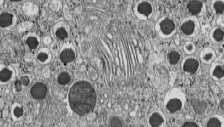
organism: C57BL Mouse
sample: Pancreatic islet